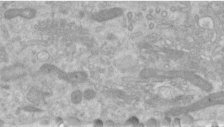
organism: Human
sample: Centriole in RPE cells